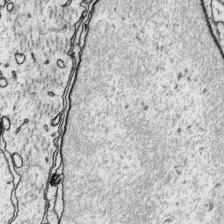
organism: Platynereis dumerilii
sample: Parapodia